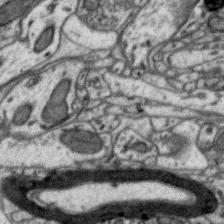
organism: Zebra finch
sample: Brain